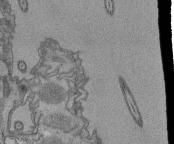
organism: Tetrahymena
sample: Cilia in tetrahymena